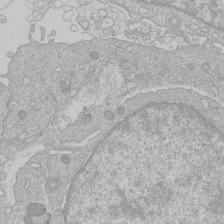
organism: Human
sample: Macrophage cells